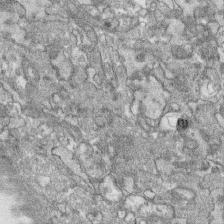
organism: Human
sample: CRL-1474